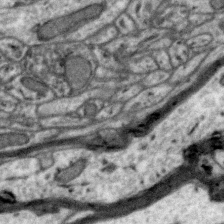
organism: Zebra finch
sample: Brain